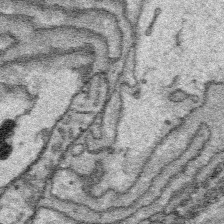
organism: Platynereis dumerilii